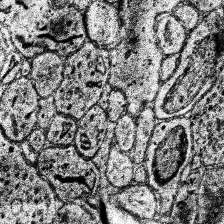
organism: Human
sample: Temporal Lobe